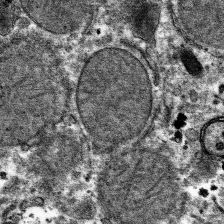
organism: Mouse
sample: Mouse hepatocytes